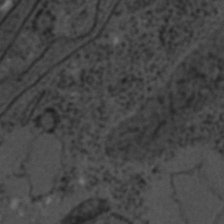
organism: C. elegans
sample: C. elegans embryo